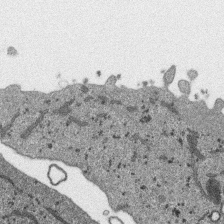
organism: Human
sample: Lung epithelial cells infected with SARS-CoV-2